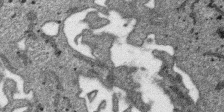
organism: Human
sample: Lung epithelial cells infected with SARS-CoV-2